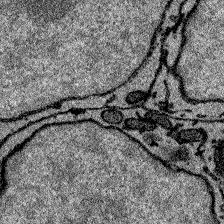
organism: Zebrafish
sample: Larval olfactory bulb